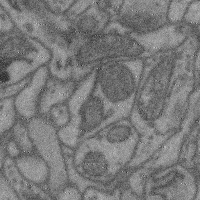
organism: Mouse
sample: Cerebral cortex